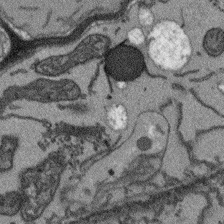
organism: Arabidopsis thaliana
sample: Root tip